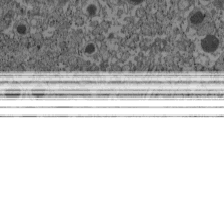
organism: C57BL Mouse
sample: Pancreatic islet